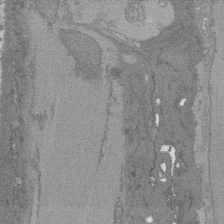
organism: C. elegans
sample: AFD neurons C. elegans